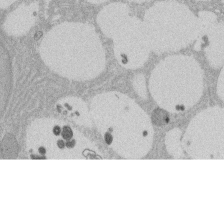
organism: Rat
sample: Salivary granule